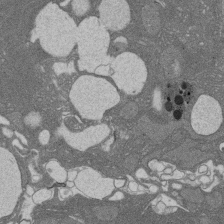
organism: Rat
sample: Salivary granule